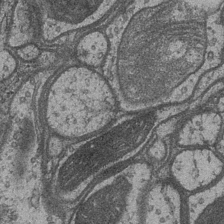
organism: Drosophila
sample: Optic medulla